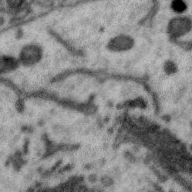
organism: Zebra finch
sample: Brain